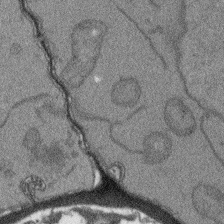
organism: Arabidopsis thaliana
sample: Root tip